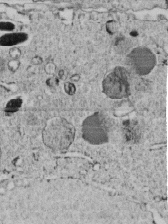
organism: C. elegans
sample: C. elegans embryo early stage